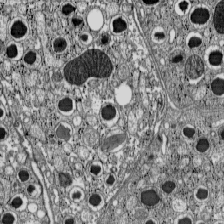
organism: C57BL Mouse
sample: Pancreatic islet